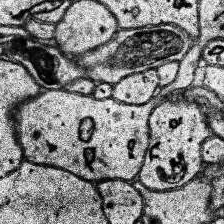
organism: Human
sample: Temporal Lobe